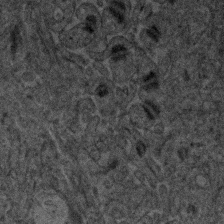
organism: Human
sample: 1205lu cells